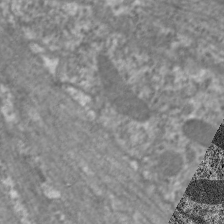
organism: C. elegans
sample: Pharynx